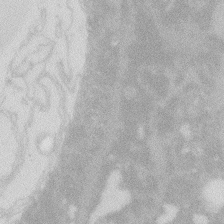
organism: Zebrafish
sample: Macrophage